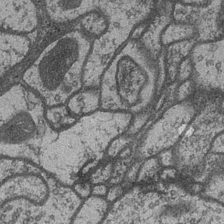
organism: Drosophila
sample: Optic medulla